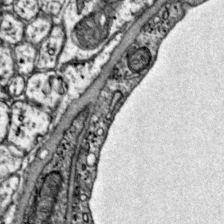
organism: Mouse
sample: Primary visual cortex